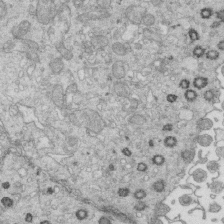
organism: Mouse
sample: Multiciliated cells